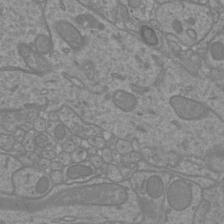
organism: Mouse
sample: Cortical neurons